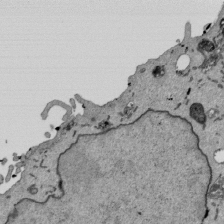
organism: Mouse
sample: ED-1 cell nuclei; centrioles